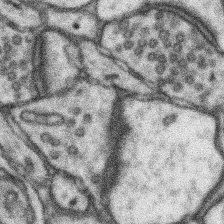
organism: Mouse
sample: Somatosensory cortex neuropil